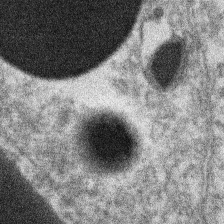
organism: Xenopus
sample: Cilia; centrioles in frog embryo cells